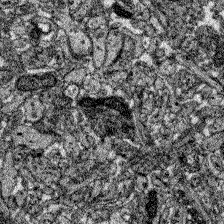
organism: Zebrafish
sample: Larval olfactory bulb